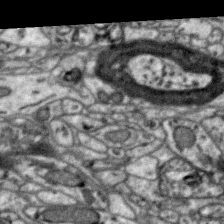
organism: Zebra finch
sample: Brain